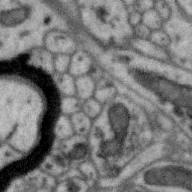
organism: Zebra finch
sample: Brain